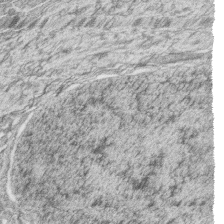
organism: Zebrafish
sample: synaptic ribbons in rod cells and cone cells